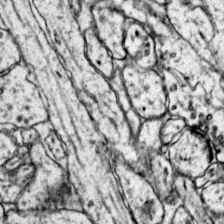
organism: Mouse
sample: Primary visual cortex